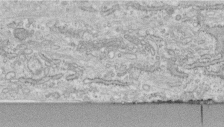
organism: Human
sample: Centriole in fibroblast cells